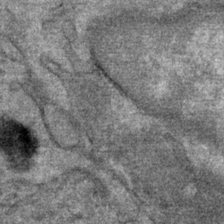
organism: Mouse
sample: Mouse Salivary gland